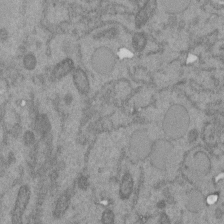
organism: C. elegans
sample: C. elegans embryo early stage